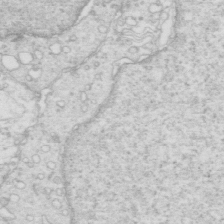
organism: Mouse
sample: Multiciliated cells